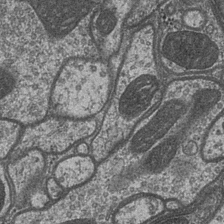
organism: Drosophila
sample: Optic medulla